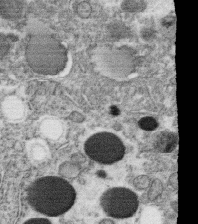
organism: C. elegans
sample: C. elegans oocyte; sperm cells